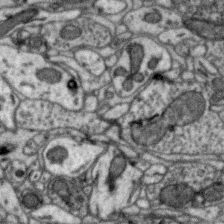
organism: Zebra finch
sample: Brain